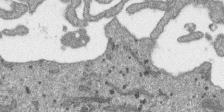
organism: Human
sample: Lung epithelial cells infected with SARS-CoV-2